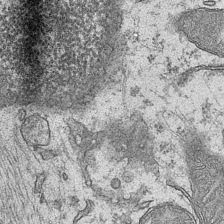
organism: Mouse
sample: CA1 Hippocampus